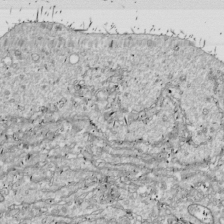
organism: Drosophila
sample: Cell division; meiosis; drosophila spermatocytes